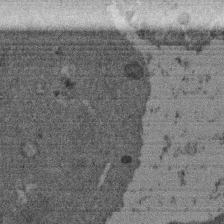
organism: Mouse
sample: Dividing mouse embryo 1 cell stage